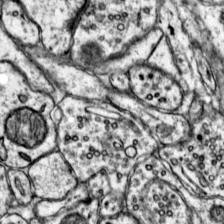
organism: Mouse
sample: Primary visual cortex